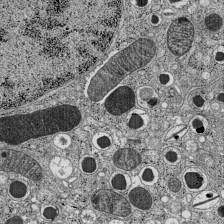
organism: C57BL Mouse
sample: Pancreatic islet